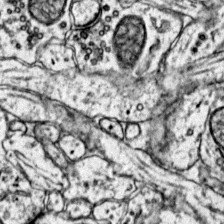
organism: Mouse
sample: Primary visual cortex